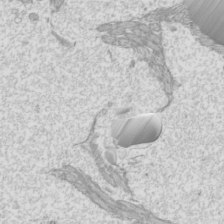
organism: Mouse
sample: Cilia; mouse epididymis